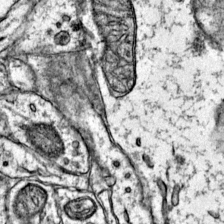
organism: Mouse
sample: Primary visual cortex